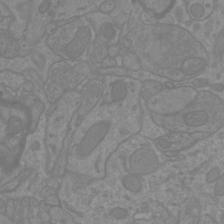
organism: Mouse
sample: Cortical neurons